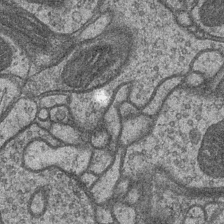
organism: Drosophila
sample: Optic medulla